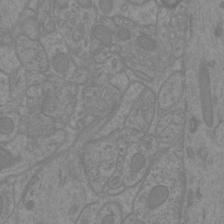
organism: Mouse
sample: Cortical neurons